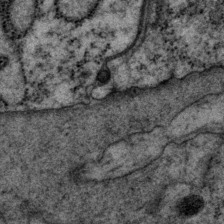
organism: P. pacificus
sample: Pharynx